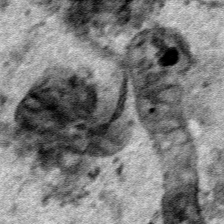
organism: Human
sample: Mitochondria in HCT116 cells